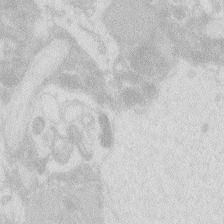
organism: Zebrafish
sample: Macrophage